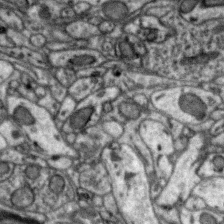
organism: Zebra finch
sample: Brain